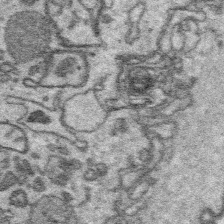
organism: Platynereis dumerilii